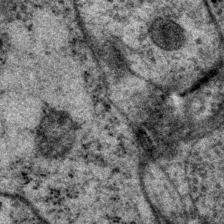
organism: P. pacificus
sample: Pharynx